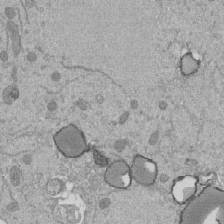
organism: Mouse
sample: ED-1 cell nuclei; centrioles